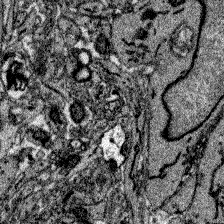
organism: Zebrafish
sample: Larval olfactory bulb